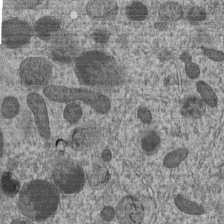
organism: C. elegans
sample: C. elegans embryo early stage